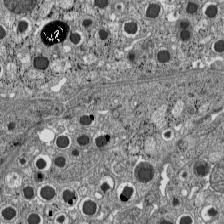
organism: C57BL Mouse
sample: Pancreatic islet